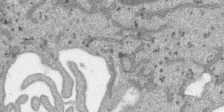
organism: Human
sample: Lung epithelial cells infected with SARS-CoV-2